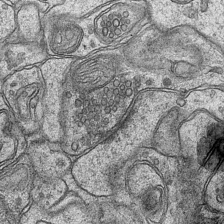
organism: Mouse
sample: CA1 Hippocampus